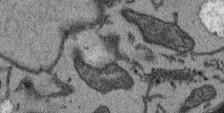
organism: Arabidopsis thaliana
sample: Root tip